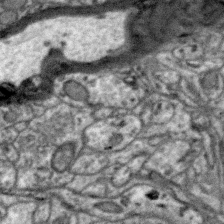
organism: Zebra finch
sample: Brain